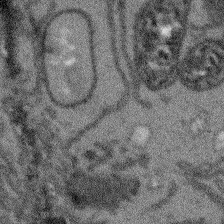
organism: Arabidopsis thaliana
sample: Root tip